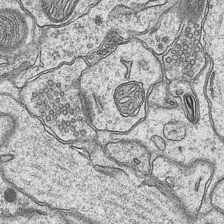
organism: Mouse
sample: CA1 Hippocampus